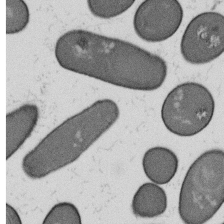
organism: B. subtilis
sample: Bacterial spore